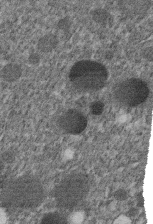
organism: C. elegans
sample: C. elegans embryo early stage